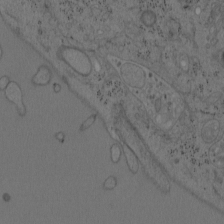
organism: Mouse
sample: OT-I killer T cells with ID8 ovarian cancer cells